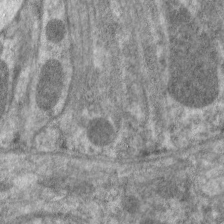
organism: C. elegans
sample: Pharynx